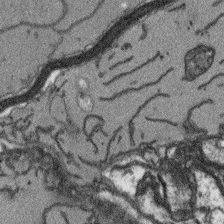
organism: Arabidopsis thaliana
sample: Root tip